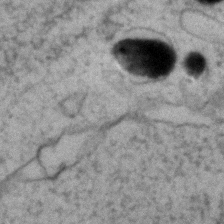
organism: Zebrafish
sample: Zebrafish embryo